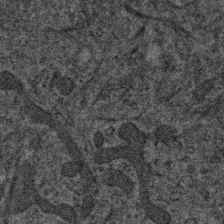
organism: Human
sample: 1205lu cells